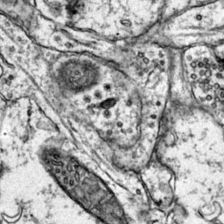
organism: Mouse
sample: Primary visual cortex